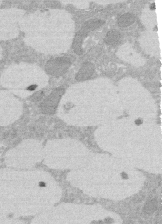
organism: Rat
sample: Salivary granule